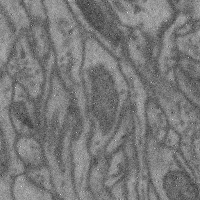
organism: Mouse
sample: Cerebral cortex